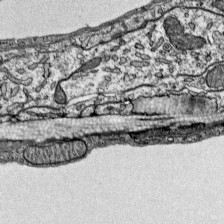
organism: Mouse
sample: Visual Cortex